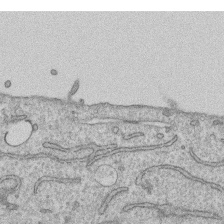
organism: Human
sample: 1205lu cells